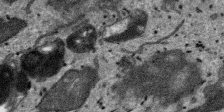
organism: Human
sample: Lung epithelial cells, uninfected (mock) control